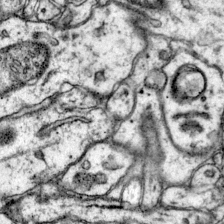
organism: Mouse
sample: Primary visual cortex